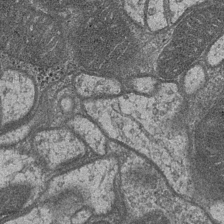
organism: Drosophila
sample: Optic medulla